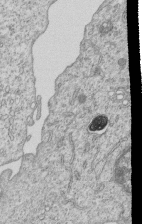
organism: Human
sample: MDA-MB-231 cells